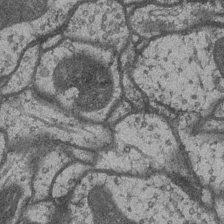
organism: Drosophila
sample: Optic medulla